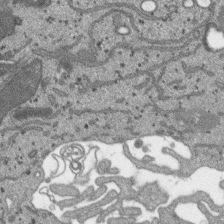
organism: Human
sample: Lung epithelial cells infected with SARS-CoV-2